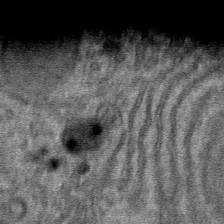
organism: Mouse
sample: Mouse hepatocytes